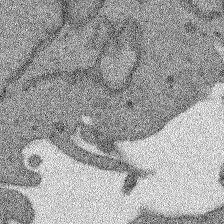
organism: Human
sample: HeLa cells